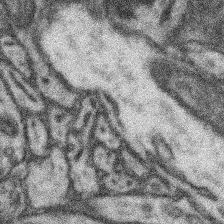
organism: Mouse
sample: Somatosensory cortex neuropil